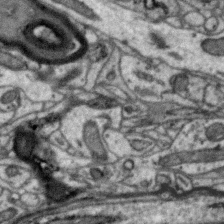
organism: Zebra finch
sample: Brain